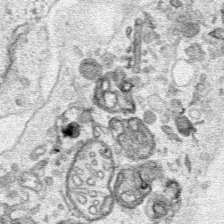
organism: Human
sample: Mitochondria in HCT116 cells